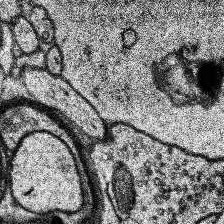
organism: Human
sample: Temporal Lobe